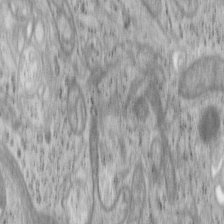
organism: Human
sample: HeLa cells